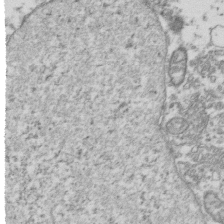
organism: Human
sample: Activated Jurkat CD4+ T cells